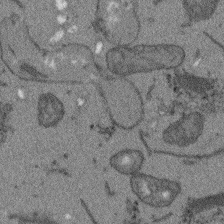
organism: Arabidopsis thaliana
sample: Root tip